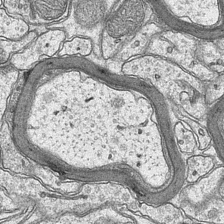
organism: Mouse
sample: CA1 Hippocampus